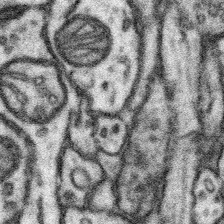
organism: Mouse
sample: Somatosensory cortex neuropil